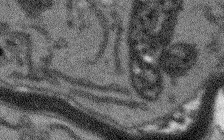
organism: Arabidopsis thaliana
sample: Root tip